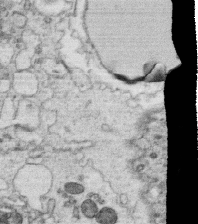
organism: C. elegans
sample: C. elegans oocyte; sperm cells